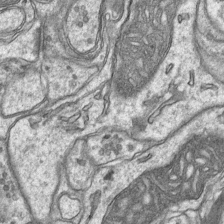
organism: Mouse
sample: CA1 Hippocampus